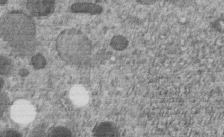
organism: C. elegans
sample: C. elegans embryo early stage